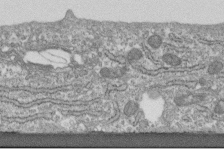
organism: Human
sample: Centriole in fibroblast cells